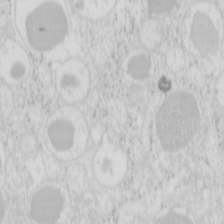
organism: Mouse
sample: Pancreas